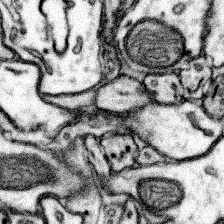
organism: Mouse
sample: Somatosensory cortex neuropil